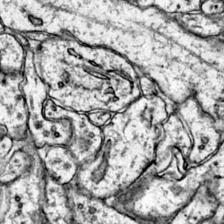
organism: Mouse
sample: Primary visual cortex